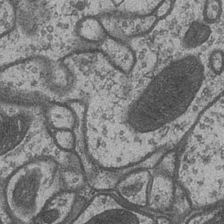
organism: Drosophila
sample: Optic medulla